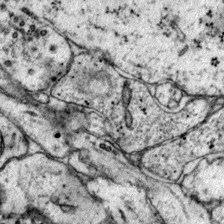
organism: Mouse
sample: Primary visual cortex